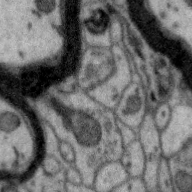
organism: Zebra finch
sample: Brain